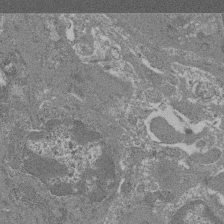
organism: Mouse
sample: Glomerulus